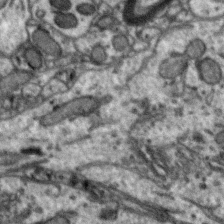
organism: Zebra finch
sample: Brain